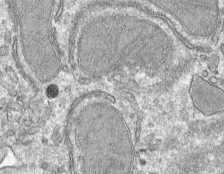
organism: Mouse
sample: Mouse hepatocytes